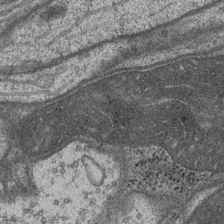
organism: Drosophila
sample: Optic medulla